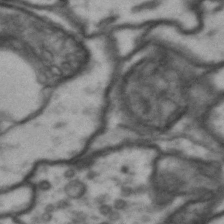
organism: Drosophila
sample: Brain